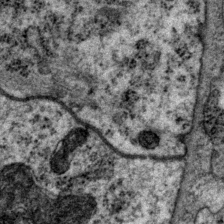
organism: P. pacificus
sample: Pharynx